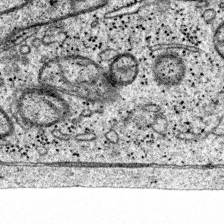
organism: Human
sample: HeLa cells